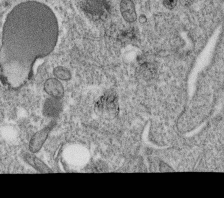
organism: C. elegans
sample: C. elegans oocyte; sperm cells